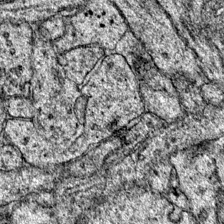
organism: Mouse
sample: Primary visual cortex